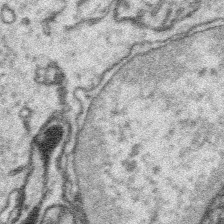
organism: Platynereis dumerilii